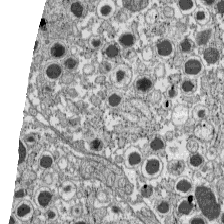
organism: C57BL Mouse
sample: Pancreatic islet